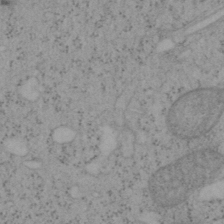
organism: Mouse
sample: OT-I killer T cells with ID8 ovarian cancer cells